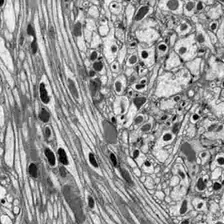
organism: Drosophila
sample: Optic lobe